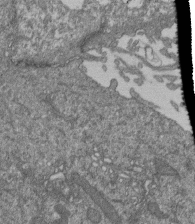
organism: Human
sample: Retinal organoid Rod and Cone cells